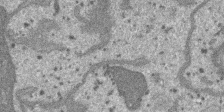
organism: Human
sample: Lung epithelial cells infected with SARS-CoV-2